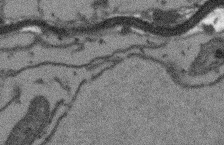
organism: Arabidopsis thaliana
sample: Root tip